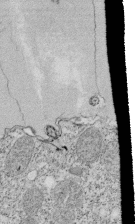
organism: Tetrahymena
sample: Cilia in tetrahymena